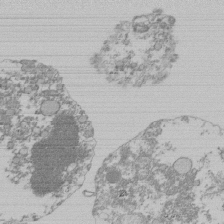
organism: Mouse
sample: Activated Pmel transgenic CD8+ T Cells